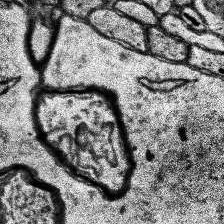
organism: Human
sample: Temporal Lobe